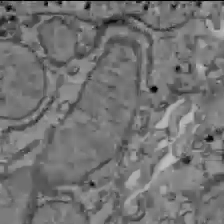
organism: C57BL Mouse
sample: Liver